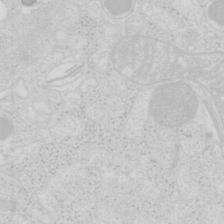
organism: Mouse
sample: Pancreas